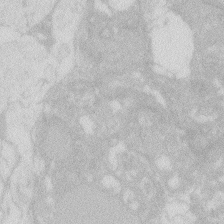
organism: Zebrafish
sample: Macrophage